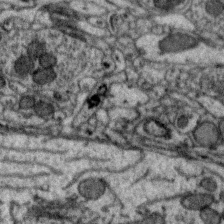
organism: Zebra finch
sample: Brain